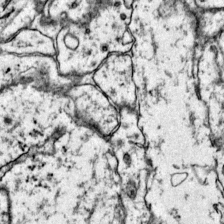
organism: Mouse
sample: Primary visual cortex